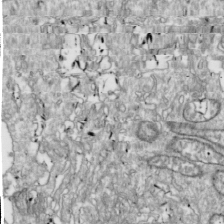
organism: Drosophila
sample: Cell division; meiosis; drosophila spermatocytes